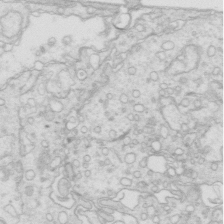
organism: Mouse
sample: Multiciliated cells